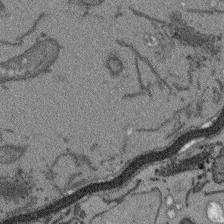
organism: Arabidopsis thaliana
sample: Root tip